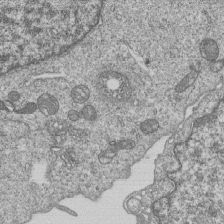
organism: Human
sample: MDA-MB-231 cells